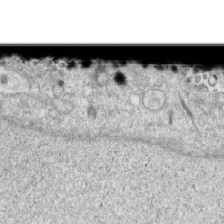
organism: Human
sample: HeLa cell HIV synapse